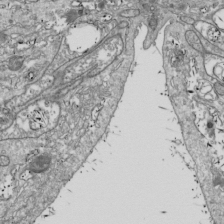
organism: Drosophila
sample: Cell division; meiosis; drosophila spermatocytes